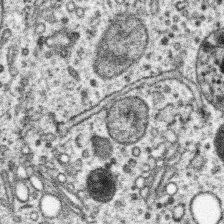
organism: Human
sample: HeLa cells